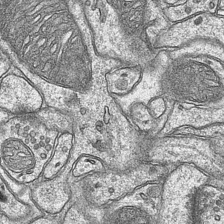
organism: Mouse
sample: CA1 Hippocampus